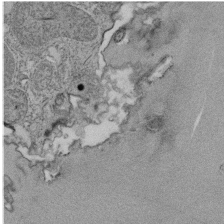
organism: Tetrahymena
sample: Cilia in tetrahymena